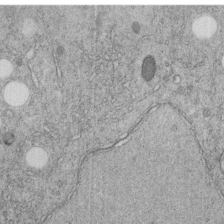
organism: C. elegans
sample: C. elegans embryo early stage